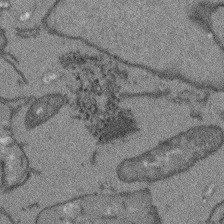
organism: Arabidopsis thaliana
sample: Root tip